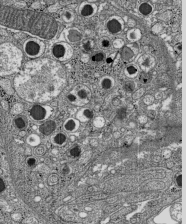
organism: C57BL Mouse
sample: Pancreatic islet